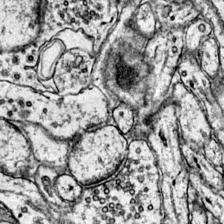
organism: Mouse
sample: Primary visual cortex